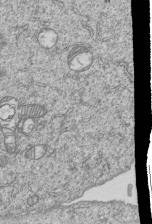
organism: Human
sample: MDA-MB-231 cells